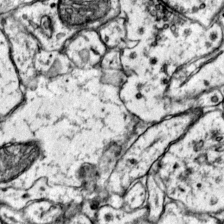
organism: Mouse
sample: Primary visual cortex